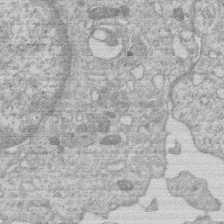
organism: Human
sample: Macrophage cells